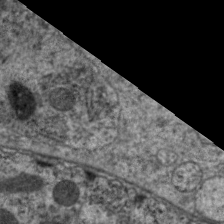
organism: C. elegans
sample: Pharynx